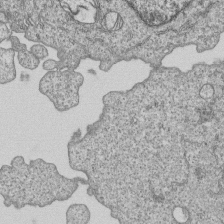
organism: Human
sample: MDA-MB-231 cells